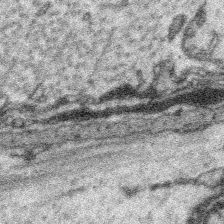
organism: Platynereis dumerilii